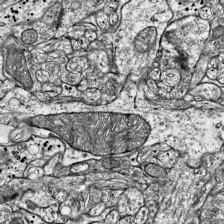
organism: Mouse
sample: Visual Cortex